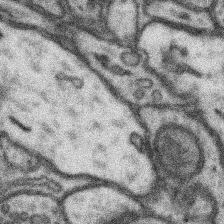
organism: Mouse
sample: Somatosensory cortex neuropil